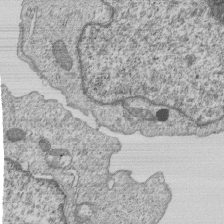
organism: Human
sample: MDA-MB-231 cells